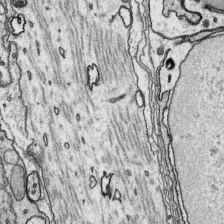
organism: Platynereis dumerilii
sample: Parapodia